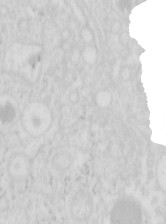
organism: Mouse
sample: Pancreas